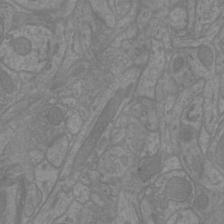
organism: Mouse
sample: Cortical neurons